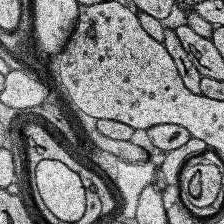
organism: Human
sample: Temporal Lobe